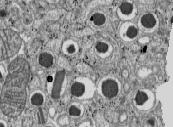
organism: C57BL Mouse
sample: Pancreatic islet